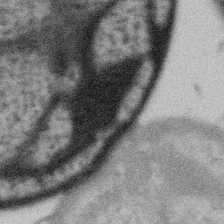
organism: Gemmata obscuriglobus